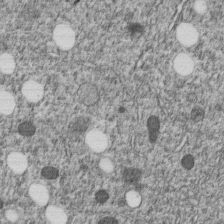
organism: C. elegans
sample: C. elegans embryo early stage